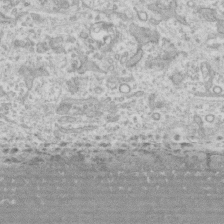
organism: Human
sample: CRL-1474